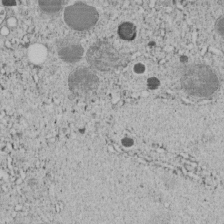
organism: C. elegans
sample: C. elegans embryo early stage